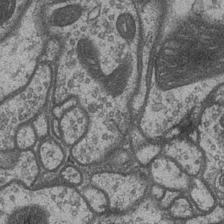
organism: Drosophila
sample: Optic medulla